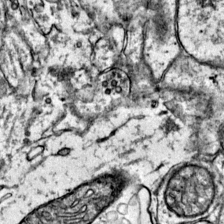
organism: Mouse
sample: Primary visual cortex